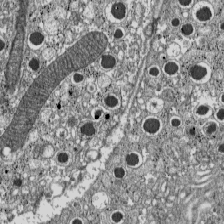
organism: C57BL Mouse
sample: Pancreatic islet